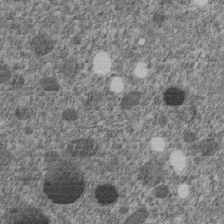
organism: C. elegans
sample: C. elegans embryo early stage